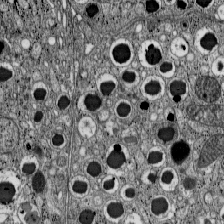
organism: C57BL Mouse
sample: Pancreatic islet